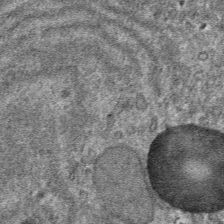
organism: Mouse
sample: Mouse hepatocytes